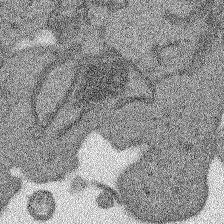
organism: Human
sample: HeLa cells